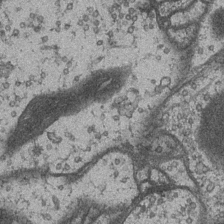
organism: Drosophila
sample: Optic medulla